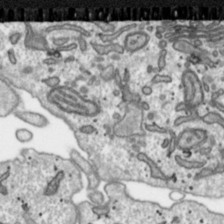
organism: Toxoplasma gondii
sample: Parasites in a vacuole inside a host cell